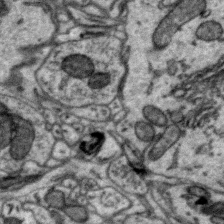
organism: Zebra finch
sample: Brain